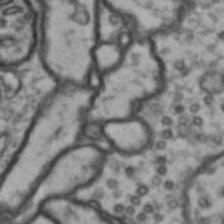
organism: Drosophila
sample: Brain